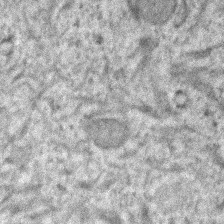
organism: Human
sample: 1205lu cells